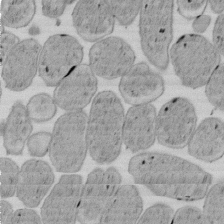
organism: E. coli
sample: Bacterial nucleoid